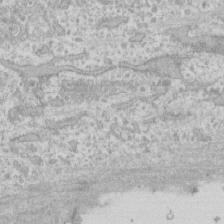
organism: Human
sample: CRL-1474